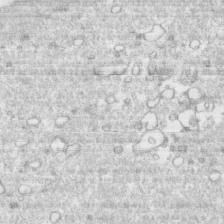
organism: Human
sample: CRL-1474